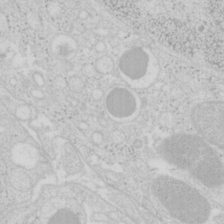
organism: Mouse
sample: Pancreas